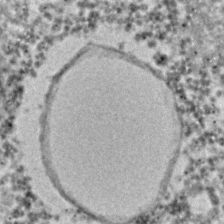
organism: C. elegans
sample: C. elegans embryo